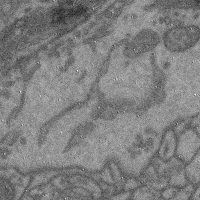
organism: Mouse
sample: Cerebral cortex